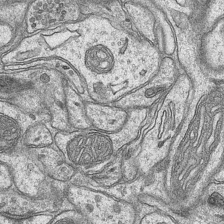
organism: Mouse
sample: CA1 Hippocampus